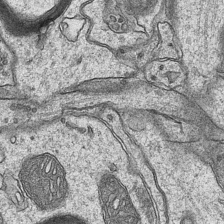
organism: Mouse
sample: CA1 Hippocampus